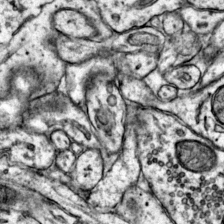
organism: Mouse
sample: Primary visual cortex